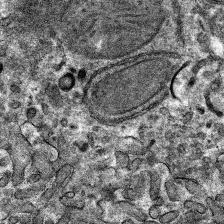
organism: Mouse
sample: Mouse hepatocytes